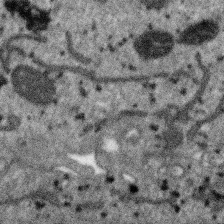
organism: Human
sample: Lung epithelial cells infected with SARS-CoV-2